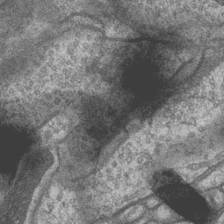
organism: Drosophila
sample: Optic medulla